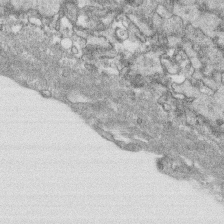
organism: Human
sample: CRL-1474